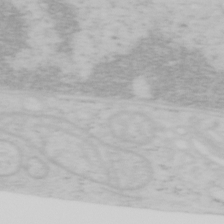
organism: Mouse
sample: OT-I killer T cells with ID8 ovarian cancer cells